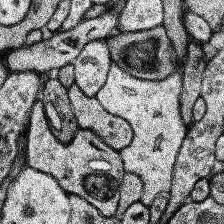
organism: Human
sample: Temporal Lobe